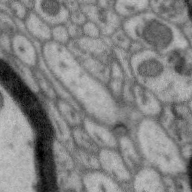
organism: Zebra finch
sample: Brain